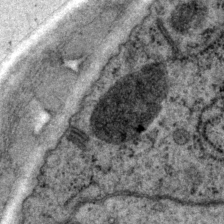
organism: P. pacificus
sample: Pharynx